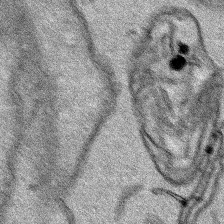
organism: Human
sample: Mitochondria in HCT116 cells